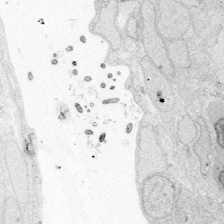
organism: Zebrafish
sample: Whole-Brain